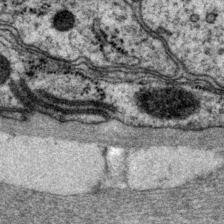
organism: P. pacificus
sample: Pharynx